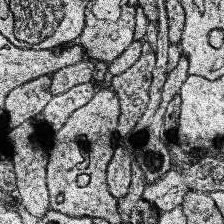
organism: Human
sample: Temporal Lobe